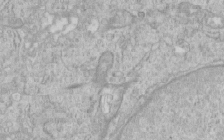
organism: Human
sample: Centriole in RPE cells